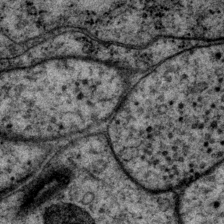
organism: P. pacificus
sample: Pharynx